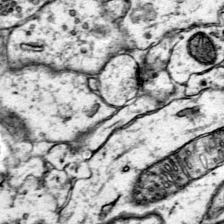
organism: Mouse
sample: Primary visual cortex